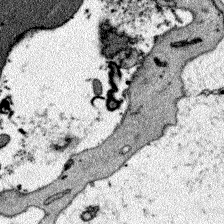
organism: Zebrafish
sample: Larval olfactory bulb